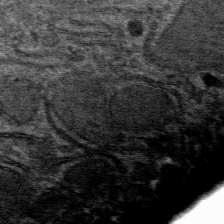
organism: Mouse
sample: Mouse hepatocytes